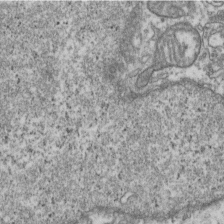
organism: Human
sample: Activated Jurkat CD4+ T cells